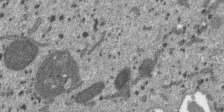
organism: Human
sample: Lung epithelial cells infected with SARS-CoV-2